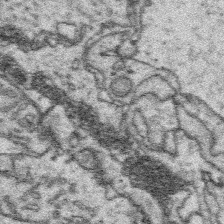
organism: Platynereis dumerilii